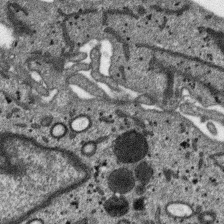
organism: Human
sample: Lung epithelial cells infected with SARS-CoV-2